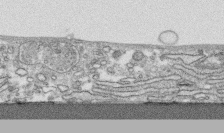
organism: Human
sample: CRL-1474